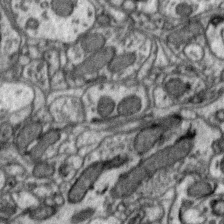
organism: Zebra finch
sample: Brain